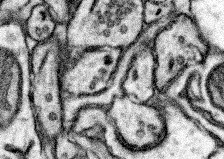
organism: Mouse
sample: Somatosensory cortex neuropil